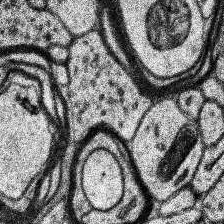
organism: Human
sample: Temporal Lobe